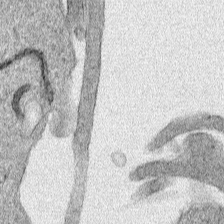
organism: Human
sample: Mitochondria in HCT116 cells